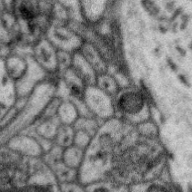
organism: Zebra finch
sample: Brain